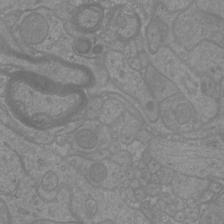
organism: Mouse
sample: Cortical neurons